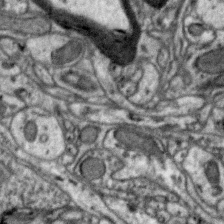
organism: Zebra finch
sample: Brain